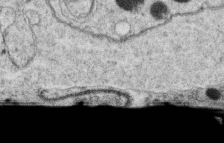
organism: C. elegans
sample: C. elegans oocyte; sperm cells